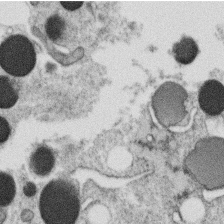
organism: C. elegans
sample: C. elegans oocyte; sperm cells